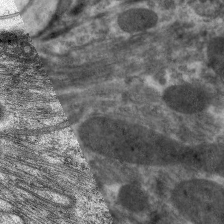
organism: C. elegans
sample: Pharynx